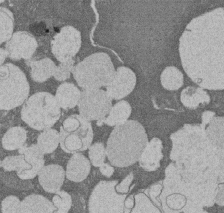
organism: Rat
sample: Salivary granule